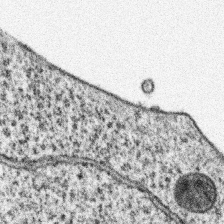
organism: Human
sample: HeLa cells